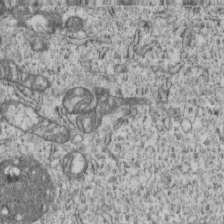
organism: Human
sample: MDA-MB-231 cells